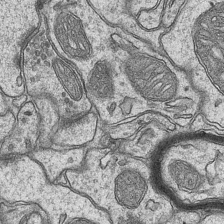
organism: Mouse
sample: CA1 Hippocampus